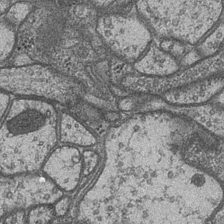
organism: Drosophila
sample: Optic medulla